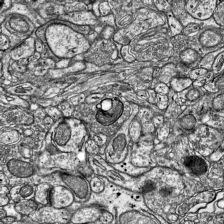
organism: Mouse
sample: Visual Cortex